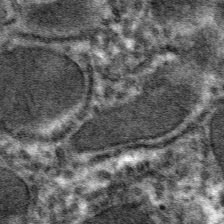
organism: Mouse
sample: Mouse hepatocytes